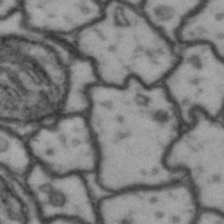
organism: Drosophila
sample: Brain